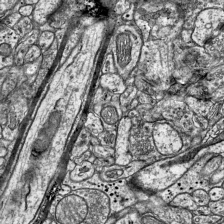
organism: Mouse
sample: Visual Cortex